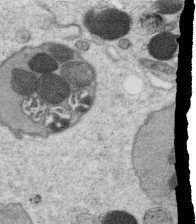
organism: C. elegans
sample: C. elegans oocyte; sperm cells